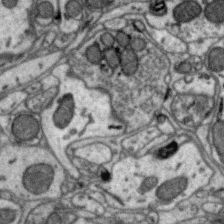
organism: Zebra finch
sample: Brain